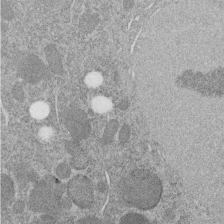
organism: C. elegans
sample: C. elegans embryo early stage